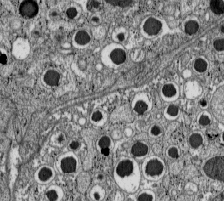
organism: C57BL Mouse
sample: Pancreatic islet